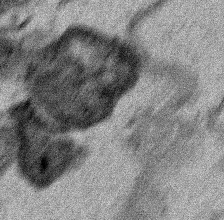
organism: Human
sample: Mitochondria in HCT116 cells